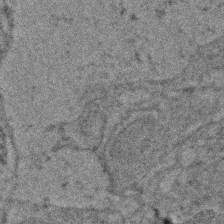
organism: Zebrafish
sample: Zebrafish embryo